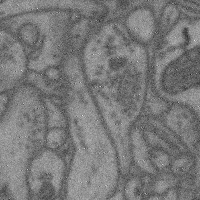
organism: Mouse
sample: Cerebral cortex